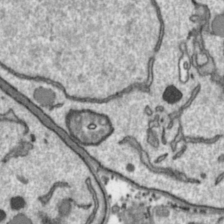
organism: Toxoplasma gondii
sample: Parasites in a vacuole inside a host cell